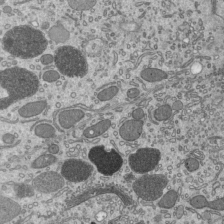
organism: Mouse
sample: Mouse epididymis efferent ductule cilia